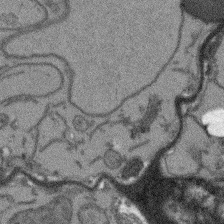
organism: Arabidopsis thaliana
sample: Root tip